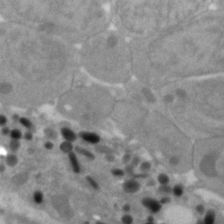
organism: Zebrafish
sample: Zebrafish embryo